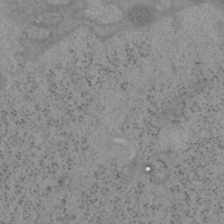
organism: Mouse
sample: OT-I killer T cells with ID8 ovarian cancer cells